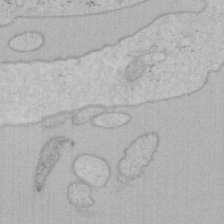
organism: Human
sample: HeLa cells